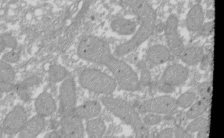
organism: Xenopus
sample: Cilia; centrioles in frog embryo cells